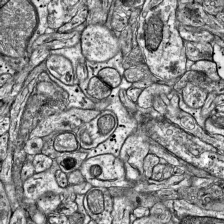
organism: Mouse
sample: Visual Cortex